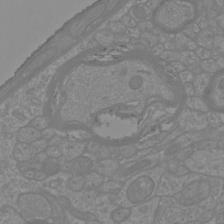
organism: Mouse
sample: Cortical neurons